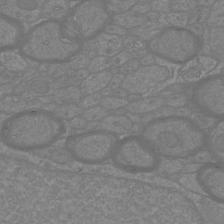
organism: Mouse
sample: Cortical neurons